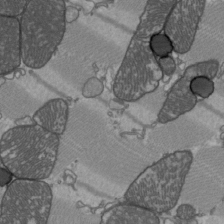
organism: C57BL Mouse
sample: Heart